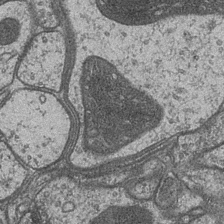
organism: Drosophila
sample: Optic medulla